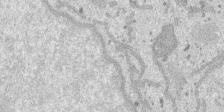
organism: Human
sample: Lung epithelial cells infected with SARS-CoV-2